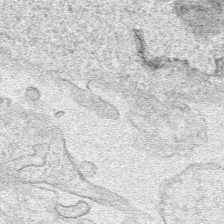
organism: Human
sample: Mitochondria in HCT116 cells